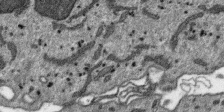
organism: Human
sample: Lung epithelial cells, uninfected (mock) control